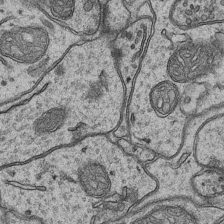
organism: Mouse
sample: CA1 Hippocampus